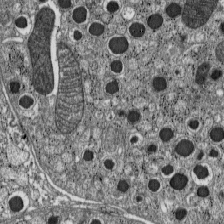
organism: C57BL Mouse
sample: Pancreatic islet